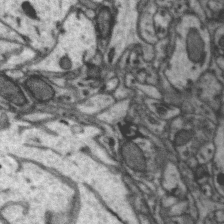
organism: Zebra finch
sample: Brain